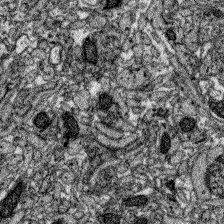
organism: Zebrafish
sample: Larval olfactory bulb